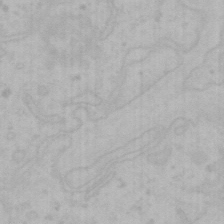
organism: Mouse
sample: Choroid plexus